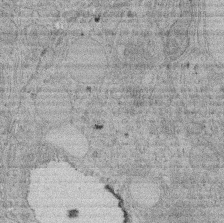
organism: Rat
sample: Salivary granule